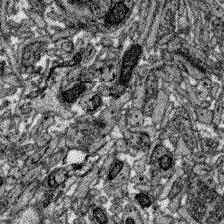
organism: Zebrafish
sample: Larval olfactory bulb